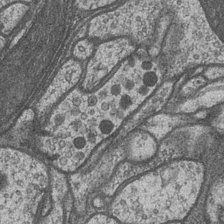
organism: Drosophila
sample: Optic medulla